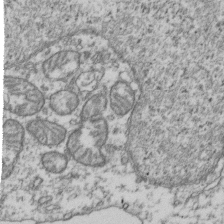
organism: Human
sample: Activated Jurkat CD4+ T cells